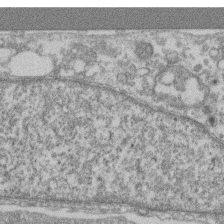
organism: Mouse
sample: T cell stromal cell synapse